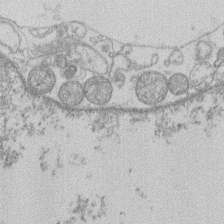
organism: Human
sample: Macrophage cells